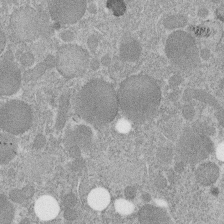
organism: C. elegans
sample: C. elegans embryo early stage